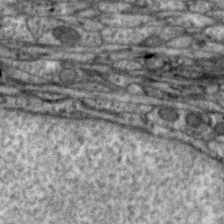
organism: Zebra finch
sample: Brain